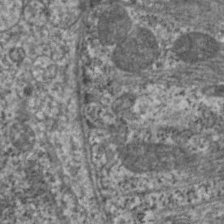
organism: C. elegans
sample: Pharynx